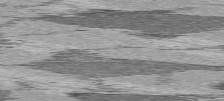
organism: C57BL Mouse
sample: Heart